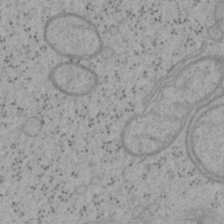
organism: Human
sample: HeLa cells